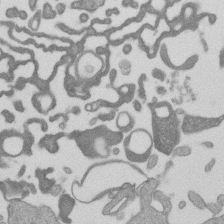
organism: Mouse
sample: Dividing mouse embryo 1 cell stage